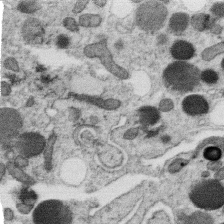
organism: C. elegans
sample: C. elegans oocyte; sperm cells